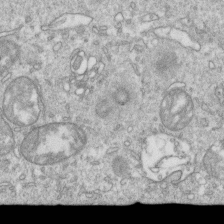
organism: Mouse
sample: Activated OT-1 CD8+ T cells